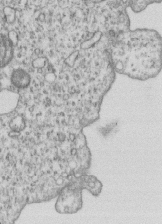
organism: Human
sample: MDA-MB-231 cells